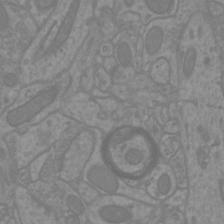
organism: Mouse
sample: Cortical neurons